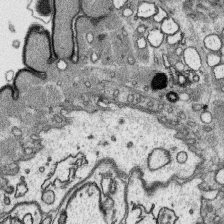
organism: Platynereis dumerilii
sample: Parapodia